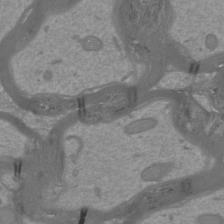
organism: Mouse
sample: Cortical neurons